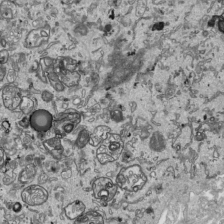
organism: Human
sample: Mitochondria in HCT116 cells